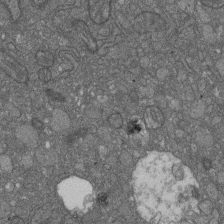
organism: Drosophila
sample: Nephrocyte